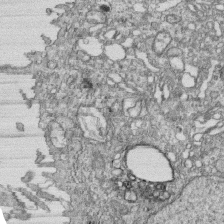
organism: Human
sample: HeLa cell HIV synapse